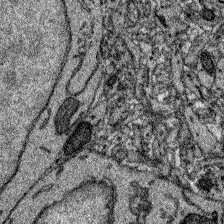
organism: Zebrafish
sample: Larval olfactory bulb